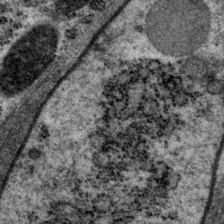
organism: P. pacificus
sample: Pharynx